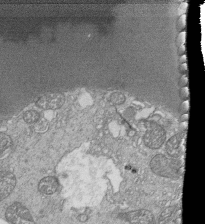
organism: Tetrahymena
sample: Cilia in tetrahymena